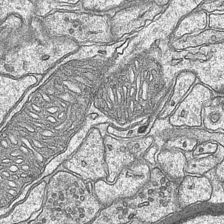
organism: Mouse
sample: CA1 Hippocampus